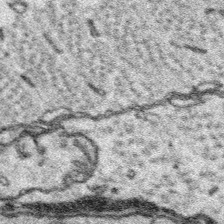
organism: Platynereis dumerilii